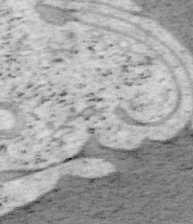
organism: Mouse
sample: OT-I killer T cells with ID8 ovarian cancer cells